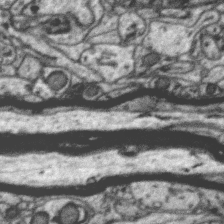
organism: Zebra finch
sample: Brain